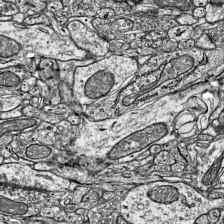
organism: Mouse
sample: Visual Cortex